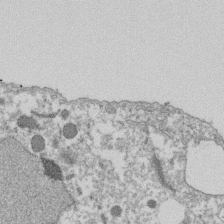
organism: Dictyostelium discoideum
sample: Dictyostelium multivesicular bodies